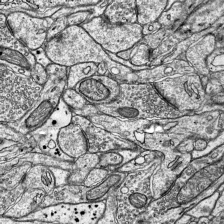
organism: Mouse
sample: Visual Cortex